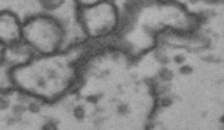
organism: Drosophila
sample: Brain